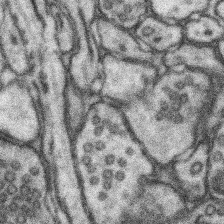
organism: Mouse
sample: Somatosensory cortex neuropil